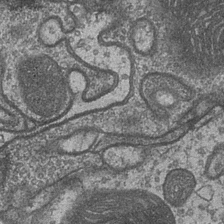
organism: Drosophila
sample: Optic medulla